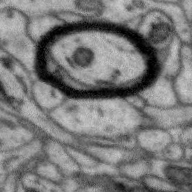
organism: Zebra finch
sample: Brain